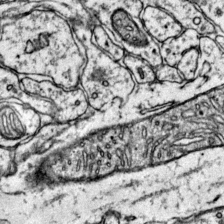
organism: Mouse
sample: Primary visual cortex